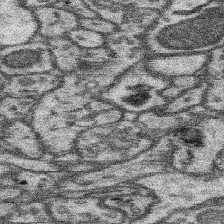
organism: Mouse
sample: Somatosensory cortex neuropil